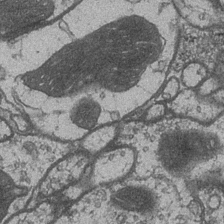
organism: Drosophila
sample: Optic medulla